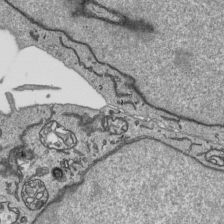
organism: Human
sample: Mitochondria in HCT116 cells